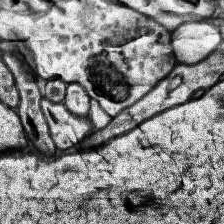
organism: Human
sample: Temporal Lobe